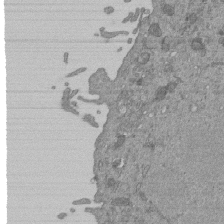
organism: Mouse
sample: ED-1 cell nuclei; centrioles